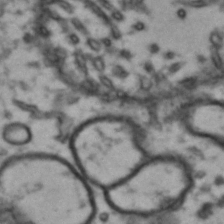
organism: Drosophila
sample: Brain